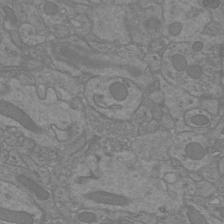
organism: Mouse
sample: Cortical neurons